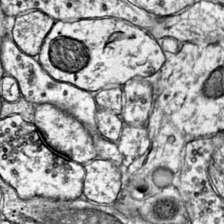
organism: Mouse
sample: Primary visual cortex